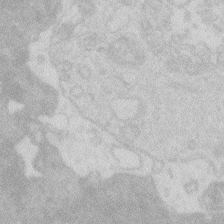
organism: Zebrafish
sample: Macrophage